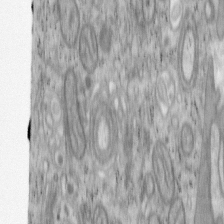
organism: Human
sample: HeLa cells